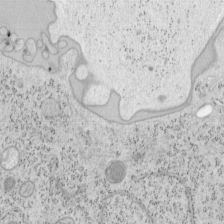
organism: Mouse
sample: OT-I killer T cells with ID8 ovarian cancer cells